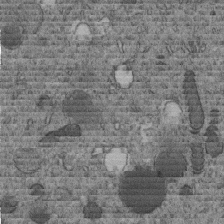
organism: C. elegans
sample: C. elegans embryo early stage